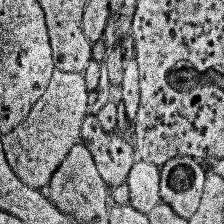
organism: Human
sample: Temporal Lobe